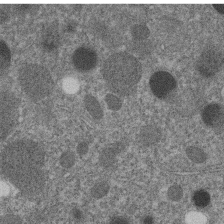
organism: C. elegans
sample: C. elegans embryo early stage